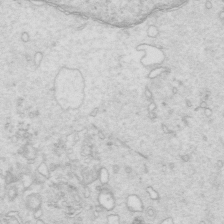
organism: Mouse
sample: Multiciliated cells